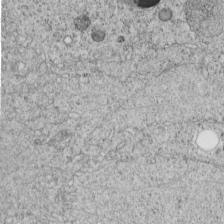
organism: C. elegans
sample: C. elegans embryo early stage